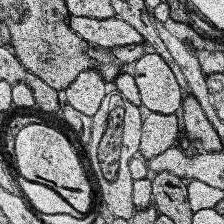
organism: Human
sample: Temporal Lobe